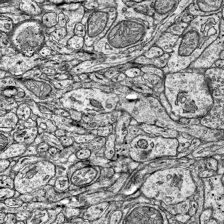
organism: Mouse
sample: Visual Cortex